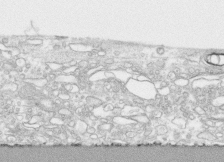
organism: Human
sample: CRL-1474